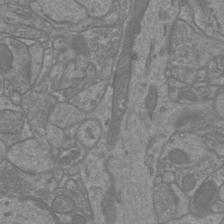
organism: Mouse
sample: Cortical neurons